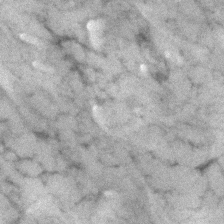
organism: Human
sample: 1205lu cells